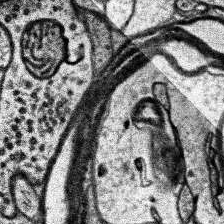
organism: Human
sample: Temporal Lobe